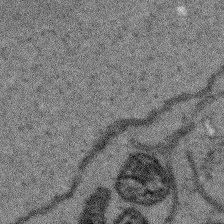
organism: Arabidopsis thaliana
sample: Root tip